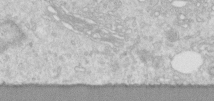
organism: Human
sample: Centriole in RPE cells